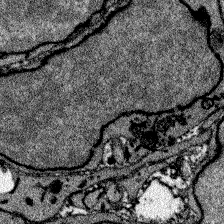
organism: Zebrafish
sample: Larval olfactory bulb